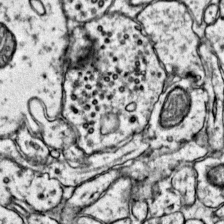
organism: Mouse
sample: Primary visual cortex